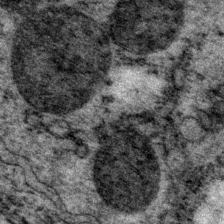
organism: P. pacificus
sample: Pharynx